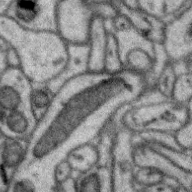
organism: Zebra finch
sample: Brain